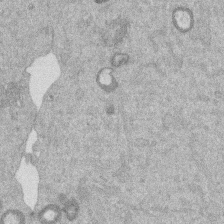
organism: Mouse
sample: Dividing mouse embryo 1 cell stage